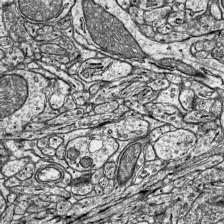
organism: Mouse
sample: Visual Cortex